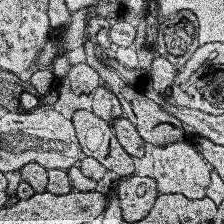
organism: Human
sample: Temporal Lobe